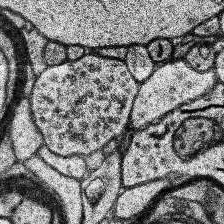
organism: Human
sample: Temporal Lobe